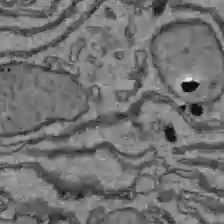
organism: C57BL Mouse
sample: Liver